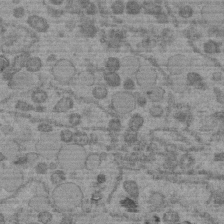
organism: C. elegans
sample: C. elegans embryo early stage